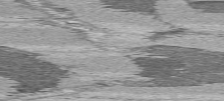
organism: C57BL Mouse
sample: Heart